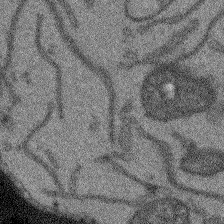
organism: Arabidopsis thaliana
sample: Root tip